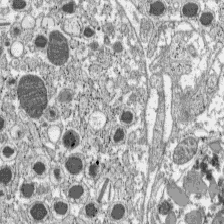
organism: C57BL Mouse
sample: Pancreatic islet